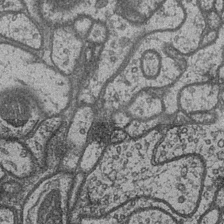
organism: Drosophila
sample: Optic medulla